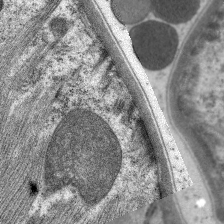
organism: C. elegans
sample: Pharynx